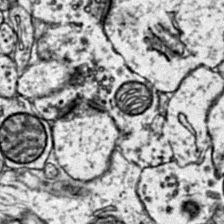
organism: Mouse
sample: Primary visual cortex